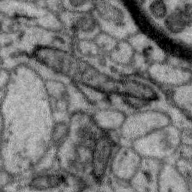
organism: Zebra finch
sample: Brain